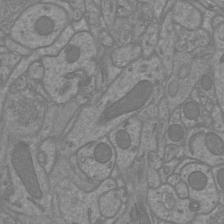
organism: Mouse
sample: Cortical neurons